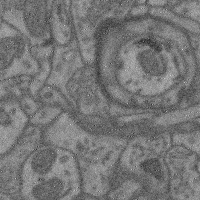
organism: Mouse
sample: Cerebral cortex